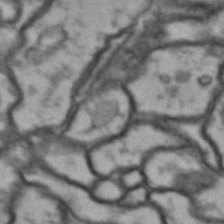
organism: Drosophila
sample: Brain